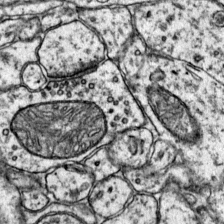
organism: Mouse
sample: Primary visual cortex